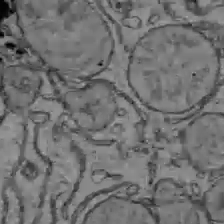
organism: C57BL Mouse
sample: Liver